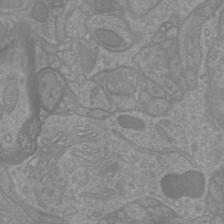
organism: Mouse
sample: Cortical neurons